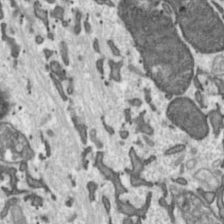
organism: Toxoplasma gondii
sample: Parasites in a vacuole inside a host cell